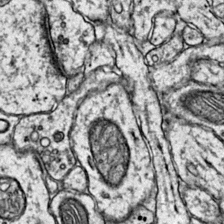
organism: Mouse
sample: Primary visual cortex